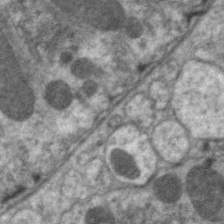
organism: C. elegans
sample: Pharynx